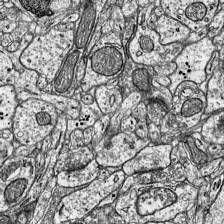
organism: Mouse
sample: Visual Cortex